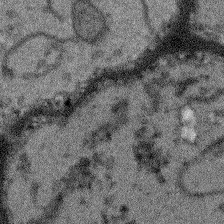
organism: Arabidopsis thaliana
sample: Root tip